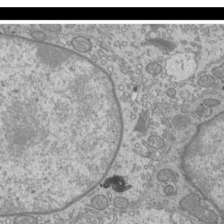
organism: Mouse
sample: Cilia; mouse epididymis